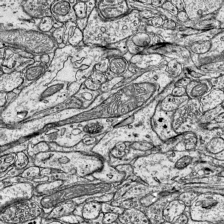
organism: Mouse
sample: Visual Cortex